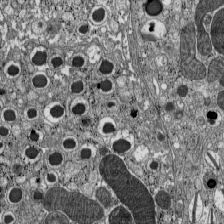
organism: C57BL Mouse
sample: Pancreatic islet